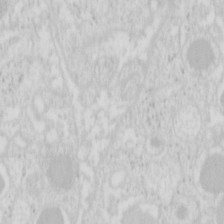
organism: Mouse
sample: Pancreas